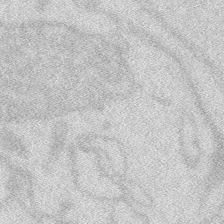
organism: Zebrafish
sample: Macrophage